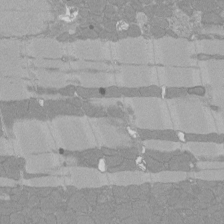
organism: Rat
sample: Left ventricle